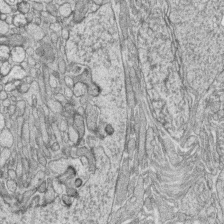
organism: Zebrafish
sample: synaptic ribbons in rod cells and cone cells